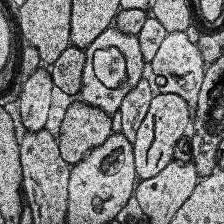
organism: Human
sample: Temporal Lobe